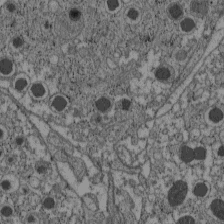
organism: C57BL Mouse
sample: Pancreatic islet